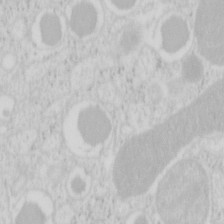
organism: Mouse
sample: Pancreas